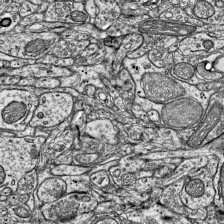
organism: Mouse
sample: Visual Cortex